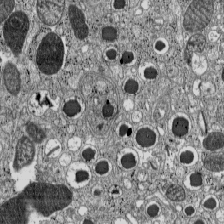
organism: C57BL Mouse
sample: Pancreatic islet